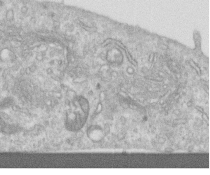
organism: Human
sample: Centriole in RPE cells